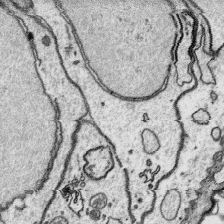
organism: Platynereis dumerilii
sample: Parapodia